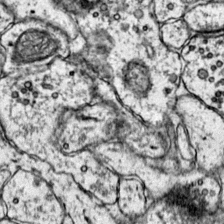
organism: Mouse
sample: Primary visual cortex